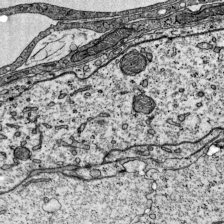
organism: Mouse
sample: Visual Cortex